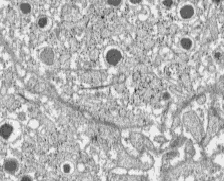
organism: C57BL Mouse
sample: Pancreatic islet